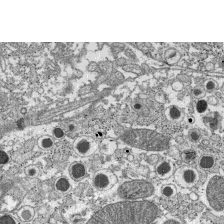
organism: C57BL Mouse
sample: Pancreatic islet